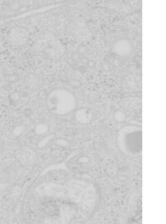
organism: Mouse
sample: Pancreas